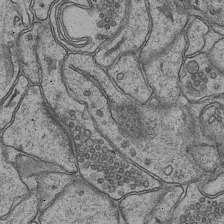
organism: Mouse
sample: CA1 Hippocampus